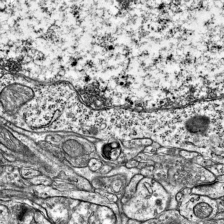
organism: Mouse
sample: Visual Cortex